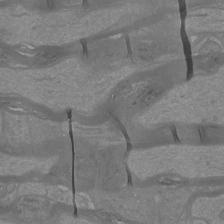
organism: Mouse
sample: Cortical neurons